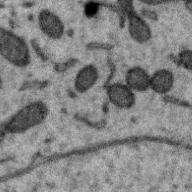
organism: Zebra finch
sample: Brain